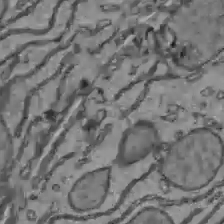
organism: C57BL Mouse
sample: Liver